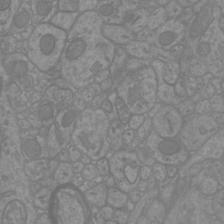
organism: Mouse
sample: Cortical neurons